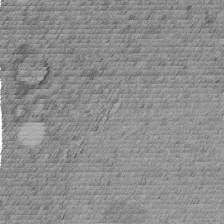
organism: C. elegans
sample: C. elegans embryo early stage